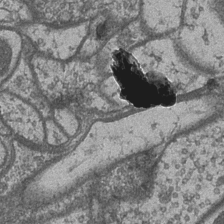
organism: Drosophila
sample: Optic medulla